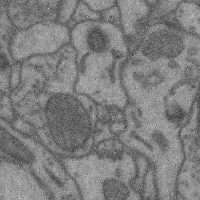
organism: Mouse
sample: Cerebral cortex